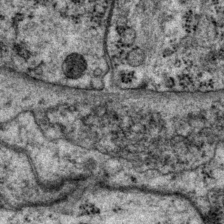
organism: P. pacificus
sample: Pharynx